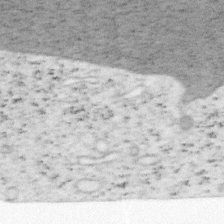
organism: Mouse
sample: OT-I killer T cells with ID8 ovarian cancer cells